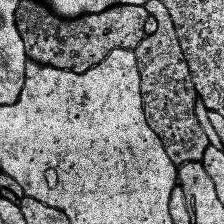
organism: Human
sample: Temporal Lobe